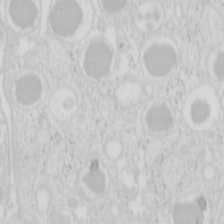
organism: Mouse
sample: Pancreas